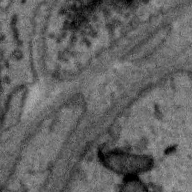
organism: Zebra finch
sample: Brain